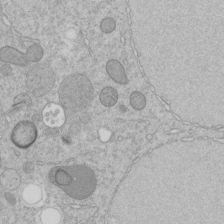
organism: C. elegans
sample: C. elegans embryo early stage